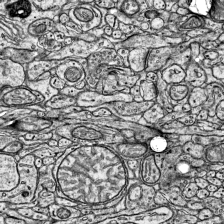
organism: Mouse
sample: Visual Cortex